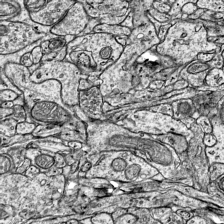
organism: Mouse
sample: Visual Cortex